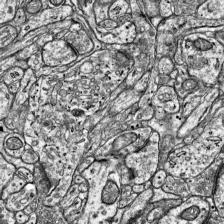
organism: Mouse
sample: Visual Cortex